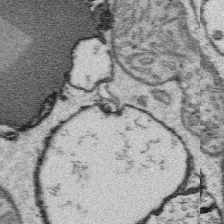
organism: Platynereis dumerilii